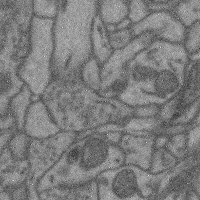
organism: Mouse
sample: Cerebral cortex